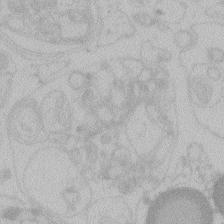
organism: Zebrafish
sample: Macrophage infected with Toxoplasma gondii